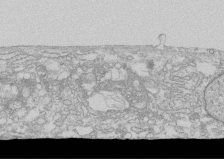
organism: Human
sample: CRL-1474